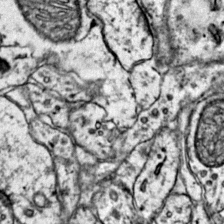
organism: Mouse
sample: Primary visual cortex